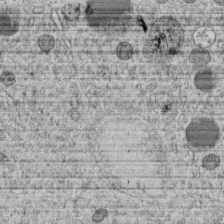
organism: C. elegans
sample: C. elegans embryo early stage